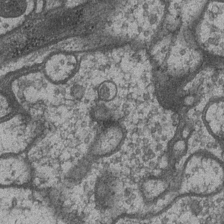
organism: Drosophila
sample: Optic medulla